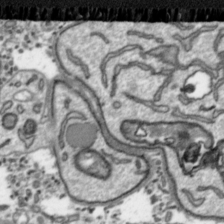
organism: Toxoplasma gondii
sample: Parasites in a vacuole inside a host cell